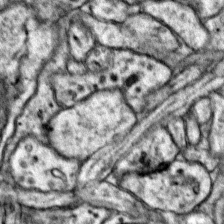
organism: Mouse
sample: Primary visual cortex